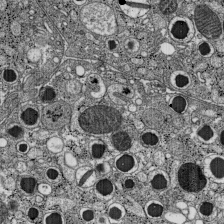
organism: C57BL Mouse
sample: Pancreatic islet